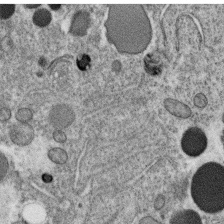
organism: C. elegans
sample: C. elegans oocyte; sperm cells